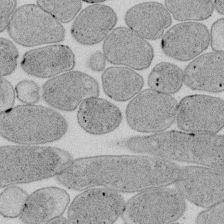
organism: E. coli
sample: Bacterial nucleoid